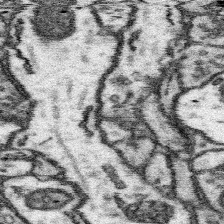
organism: Mouse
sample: Somatosensory cortex neuropil